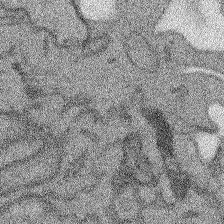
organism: Human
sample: HeLa cells